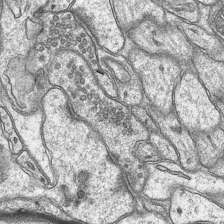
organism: Mouse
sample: CA1 Hippocampus